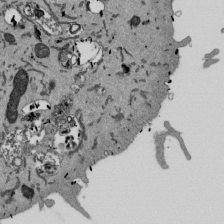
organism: Mouse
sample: ED-1 cell nuclei; centrioles